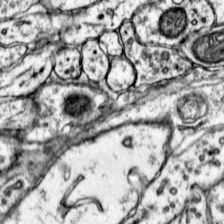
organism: Mouse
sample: Primary visual cortex